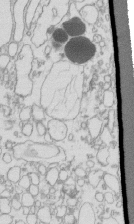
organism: Mouse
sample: Macrophages